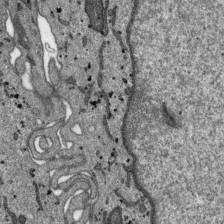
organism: Human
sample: Lung epithelial cells, uninfected (mock) control